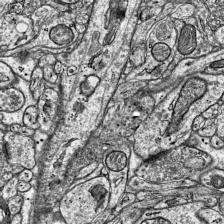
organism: Mouse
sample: Visual Cortex